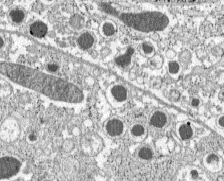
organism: C57BL Mouse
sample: Pancreatic islet